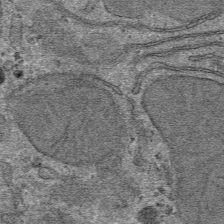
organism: Mouse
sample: Mouse hepatocytes